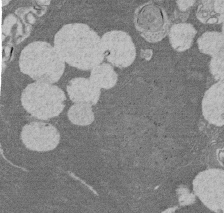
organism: Rat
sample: Salivary granule